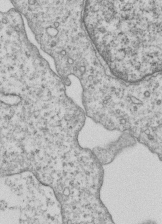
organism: Human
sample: MDA-MB-231 cells